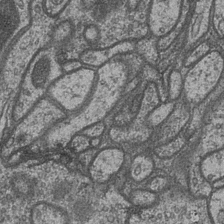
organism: Drosophila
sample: Optic medulla